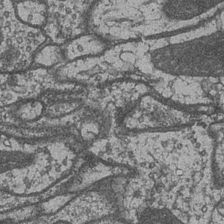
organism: Drosophila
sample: Optic medulla